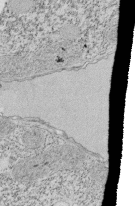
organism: Tetrahymena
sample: Cilia in tetrahymena